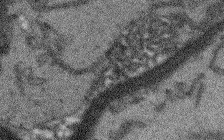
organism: Arabidopsis thaliana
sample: Root tip